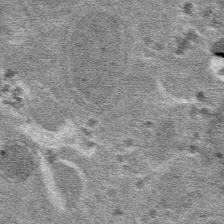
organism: Mouse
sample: Mouse hepatocytes